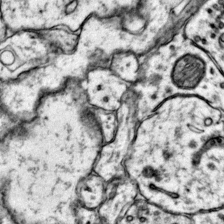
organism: Mouse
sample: Primary visual cortex